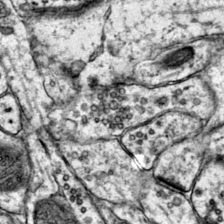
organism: Mouse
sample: Primary visual cortex